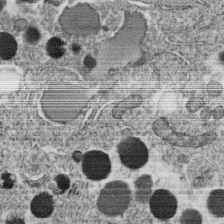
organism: C. elegans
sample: C. elegans oocyte; sperm cells